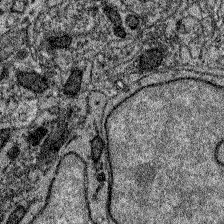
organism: Zebrafish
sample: Larval olfactory bulb